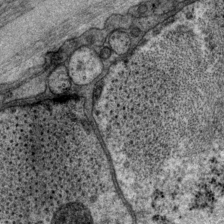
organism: P. pacificus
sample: Pharynx